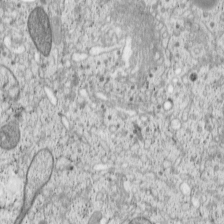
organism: African green monkey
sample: COS-7 cells